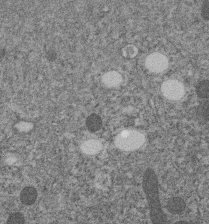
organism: C. elegans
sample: C. elegans embryo early stage